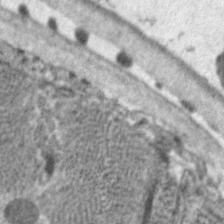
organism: C. elegans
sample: Pharynx